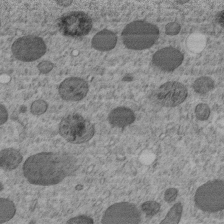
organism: C. elegans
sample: C. elegans embryo early stage